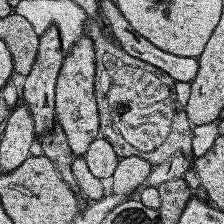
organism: Human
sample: Temporal Lobe